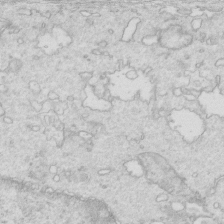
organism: Mouse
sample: Multiciliated cells